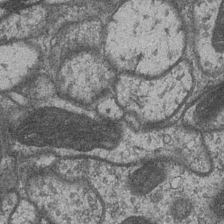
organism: Drosophila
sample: Optic medulla